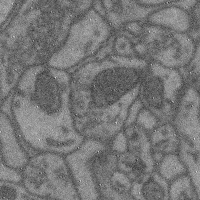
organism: Mouse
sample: Cerebral cortex